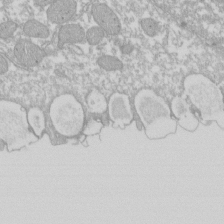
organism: Xenopus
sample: Cilia; centrioles in frog embryo cells